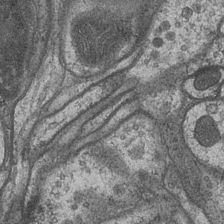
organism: Drosophila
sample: Optic medulla